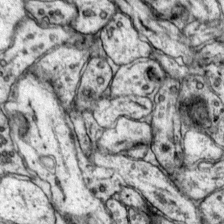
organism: Mouse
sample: Primary visual cortex